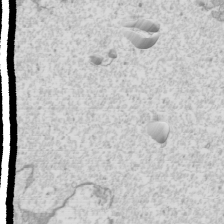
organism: Mouse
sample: Cilia; mouse epididymis